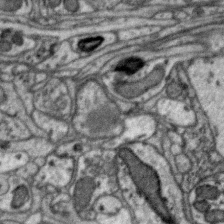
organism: Zebra finch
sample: Brain